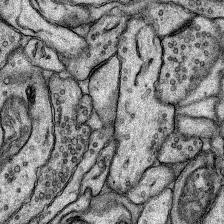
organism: Rat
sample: Hippocampus